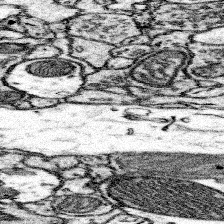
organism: Mouse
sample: Somatosensory cortex neuropil